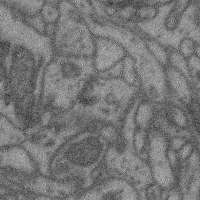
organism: Mouse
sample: Cerebral cortex